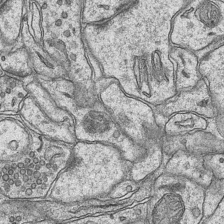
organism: Mouse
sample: CA1 Hippocampus